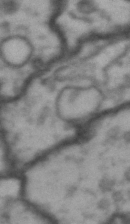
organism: Drosophila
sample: Brain